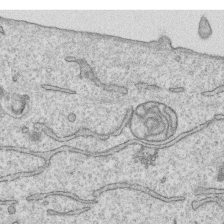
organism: Human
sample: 1205lu cells